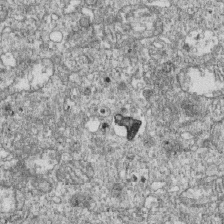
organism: Human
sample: HeLa cell HIV synapse